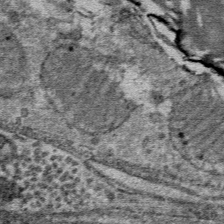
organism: Mouse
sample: Mouse Salivary gland